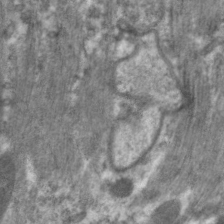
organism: C. elegans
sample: Pharynx